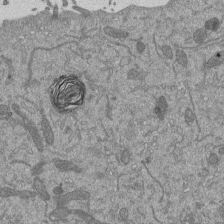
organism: Mouse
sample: ED-1 cell nuclei; centrioles